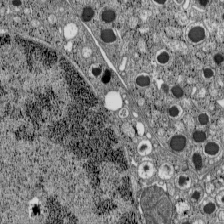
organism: C57BL Mouse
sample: Pancreatic islet